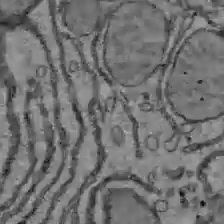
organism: C57BL Mouse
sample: Liver